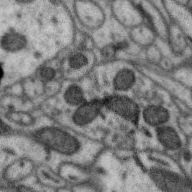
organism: Zebra finch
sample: Brain